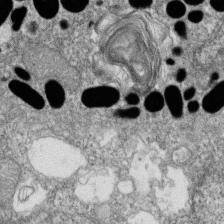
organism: Zebrafish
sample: Cilia; retinal pigment epithelium